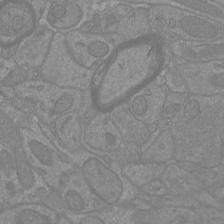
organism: Mouse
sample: Cortical neurons